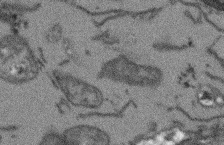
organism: Arabidopsis thaliana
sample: Root tip